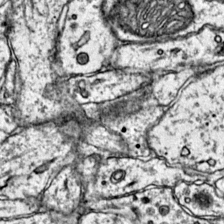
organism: Mouse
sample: Primary visual cortex